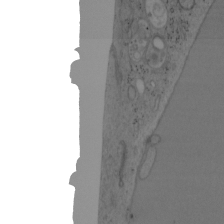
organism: Mouse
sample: OT-I killer T cells with ID8 ovarian cancer cells